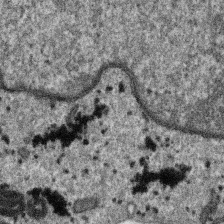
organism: Human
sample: Lung epithelial cells infected with SARS-CoV-2